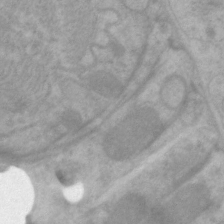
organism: C. elegans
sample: Pharynx